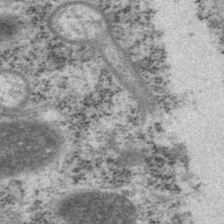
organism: P. pacificus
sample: Pharynx